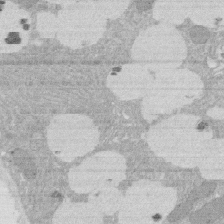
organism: Rat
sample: Salivary granule